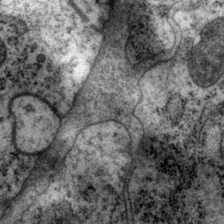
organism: P. pacificus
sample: Pharynx